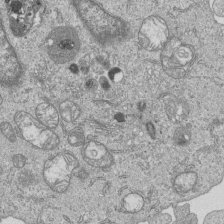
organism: Human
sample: MDA-MB-231 cells